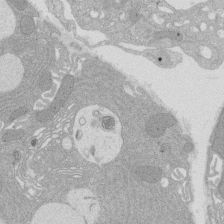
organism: Rat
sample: Salivary granule